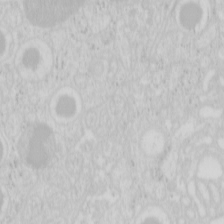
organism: Mouse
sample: Pancreas